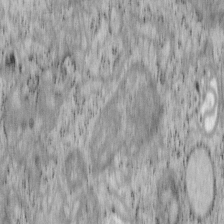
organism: Human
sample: HeLa cells